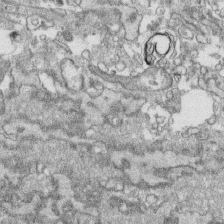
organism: Human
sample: CRL-1474